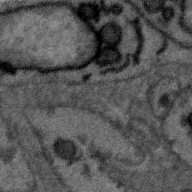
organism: Zebra finch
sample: Brain